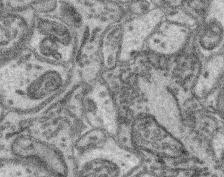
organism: Mouse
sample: Retina